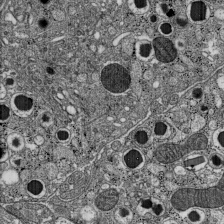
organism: C57BL Mouse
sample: Pancreatic islet